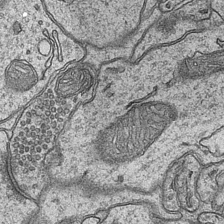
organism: Mouse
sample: CA1 Hippocampus